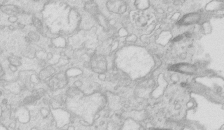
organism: Mouse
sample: Multiciliated cells